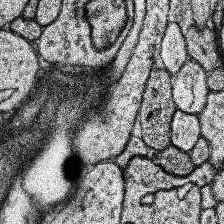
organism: Human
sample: Temporal Lobe